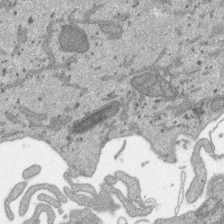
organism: Human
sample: Lung epithelial cells infected with SARS-CoV-2